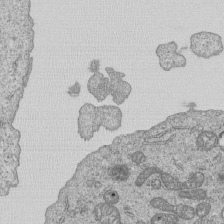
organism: Human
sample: MDA-MB-231 cells